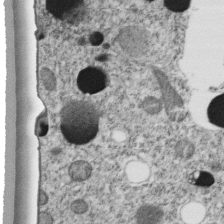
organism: C. elegans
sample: C. elegans embryo early stage